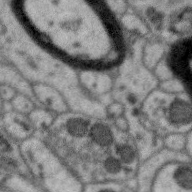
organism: Zebra finch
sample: Brain